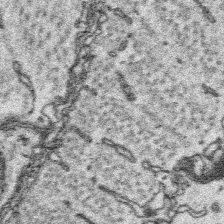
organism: Platynereis dumerilii